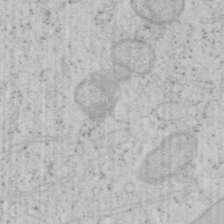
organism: Human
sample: HeLa cells